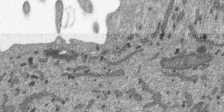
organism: Human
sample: Lung epithelial cells infected with SARS-CoV-2